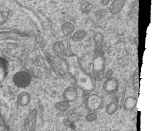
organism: Human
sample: MDA-MB-231 cells